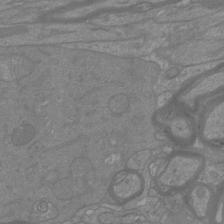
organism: Mouse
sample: Cortical neurons